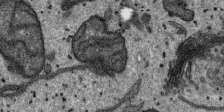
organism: Human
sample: Lung epithelial cells, uninfected (mock) control